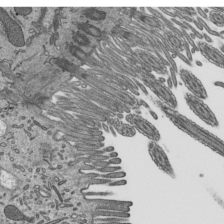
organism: Mouse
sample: Mouse epididymis efferent ductule cilia